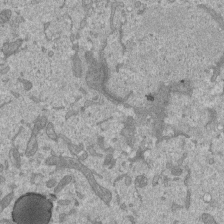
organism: Mouse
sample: ED-1 cell nuclei; centrioles